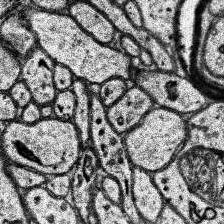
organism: Human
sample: Temporal Lobe